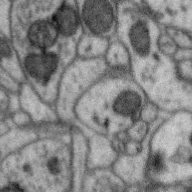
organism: Zebra finch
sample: Brain